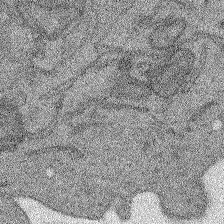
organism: Human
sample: HeLa cells